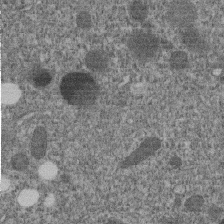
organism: C. elegans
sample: C. elegans embryo early stage